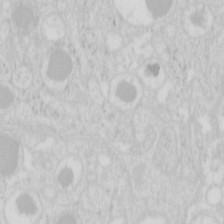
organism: Mouse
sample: Pancreas